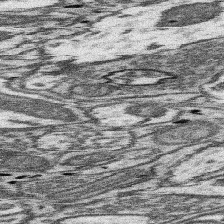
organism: Mouse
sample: Somatosensory cortex neuropil